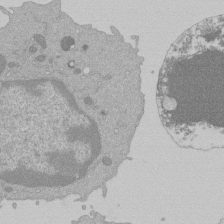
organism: Mouse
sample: Activated Pmel transgenic CD8+ T Cells